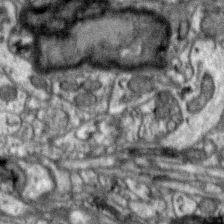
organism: Zebra finch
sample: Brain